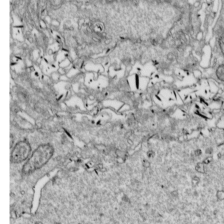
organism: Drosophila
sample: Cell division; meiosis; drosophila spermatocytes